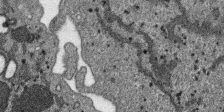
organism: Human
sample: Lung epithelial cells infected with SARS-CoV-2